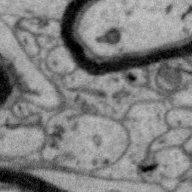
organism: Zebra finch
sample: Brain